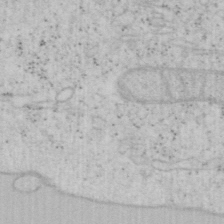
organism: Human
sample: HeLa cells